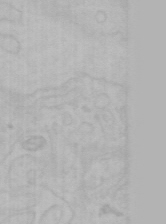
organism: Mouse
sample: Choroid plexus